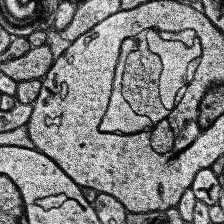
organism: Human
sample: Temporal Lobe